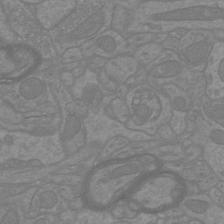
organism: Mouse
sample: Cortical neurons